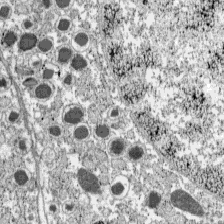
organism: C57BL Mouse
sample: Pancreatic islet